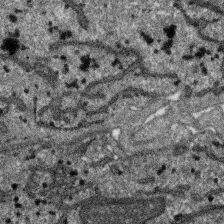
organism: Human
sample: Lung epithelial cells infected with SARS-CoV-2